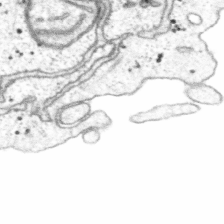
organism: Human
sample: HeLa cells